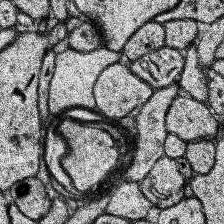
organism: Human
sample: Temporal Lobe